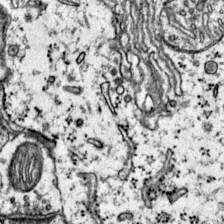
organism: Mouse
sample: Primary visual cortex